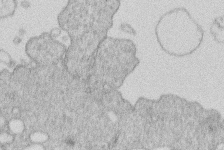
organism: Human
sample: Macrophage cells